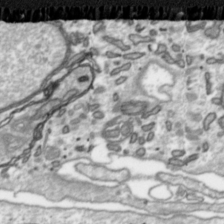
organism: Toxoplasma gondii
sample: Parasites in a vacuole inside a host cell